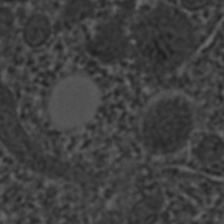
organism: C. elegans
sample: C. elegans embryo